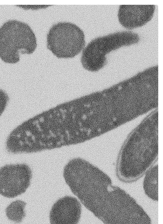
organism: E. coli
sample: Bacterial nucleoid